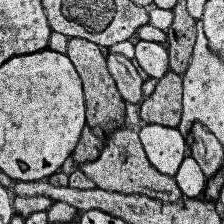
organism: Human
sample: Temporal Lobe